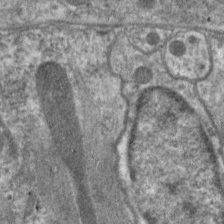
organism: C. elegans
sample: Pharynx